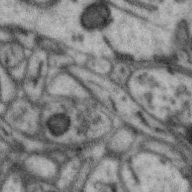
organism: Zebra finch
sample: Brain